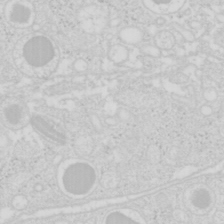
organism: Mouse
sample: Pancreas